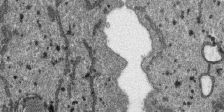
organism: Human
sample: Lung epithelial cells infected with SARS-CoV-2